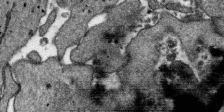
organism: Human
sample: Lung epithelial cells, uninfected (mock) control